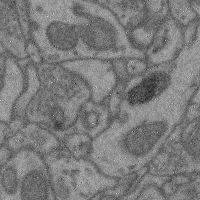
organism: Mouse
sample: Cerebral cortex